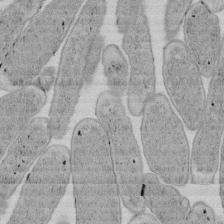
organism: E. coli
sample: Bacterial nucleoid